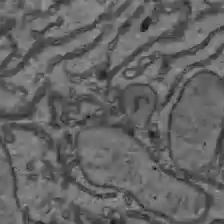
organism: C57BL Mouse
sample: Liver